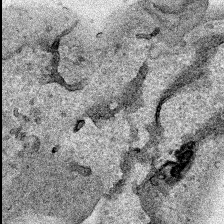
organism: Human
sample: Mitochondria in HCT116 cells